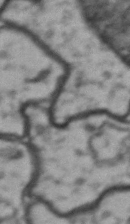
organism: Drosophila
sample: Brain